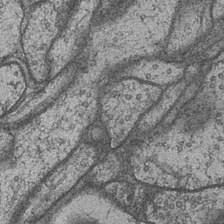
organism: Drosophila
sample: Optic medulla